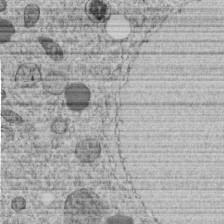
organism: C. elegans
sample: C. elegans embryo early stage